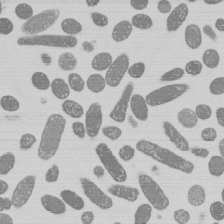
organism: E. coli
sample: Bacterial nucleoid